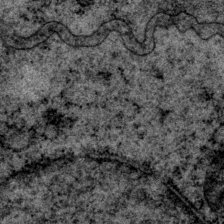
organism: P. pacificus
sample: Pharynx